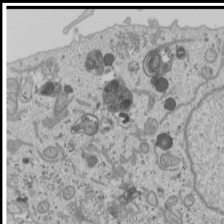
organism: Human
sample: Mitochondria in U2OS cells